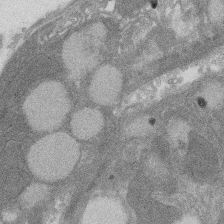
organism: Rat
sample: Salivary granule